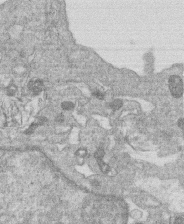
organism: Human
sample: Macrophage cells